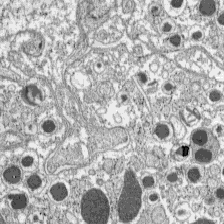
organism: C57BL Mouse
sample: Pancreatic islet